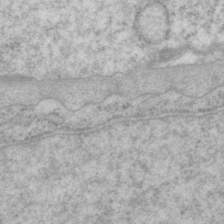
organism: P. pacificus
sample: Pharynx